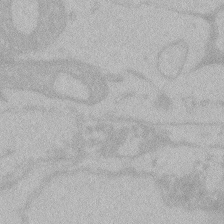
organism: Zebrafish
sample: Macrophage infected with Toxoplasma gondii